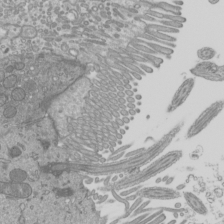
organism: Mouse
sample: Cilia; mouse epididymis